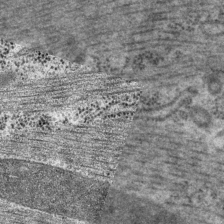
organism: P. pacificus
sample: Pharynx